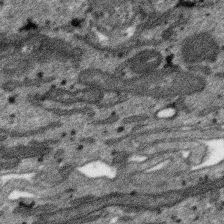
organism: Human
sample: Lung epithelial cells infected with SARS-CoV-2